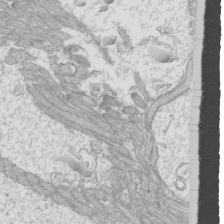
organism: Mouse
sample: Cilia; mouse epididymis